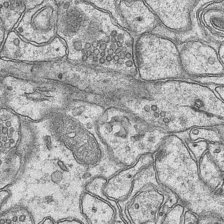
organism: Mouse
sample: CA1 Hippocampus